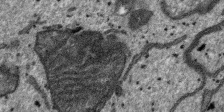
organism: Human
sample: Lung epithelial cells, uninfected (mock) control